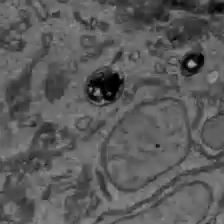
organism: C57BL Mouse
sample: Liver